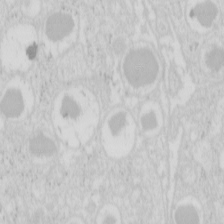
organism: Mouse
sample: Pancreas